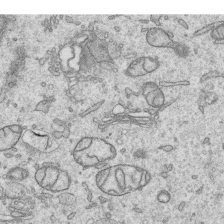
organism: Human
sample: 1205lu cells